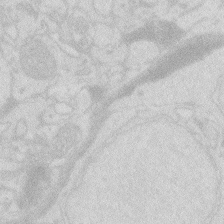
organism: Zebrafish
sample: Macrophage